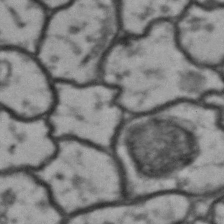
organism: Drosophila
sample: Brain